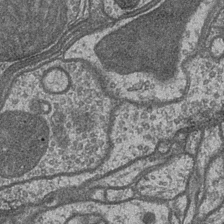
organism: Drosophila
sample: Optic medulla